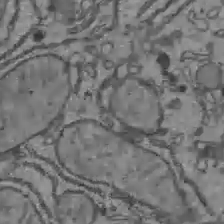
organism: C57BL Mouse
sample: Liver